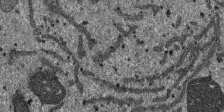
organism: Human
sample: Lung epithelial cells infected with SARS-CoV-2